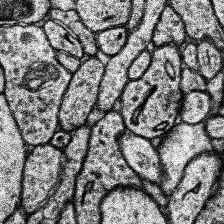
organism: Human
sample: Temporal Lobe